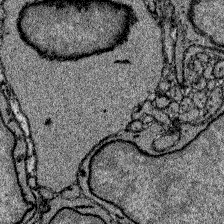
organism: Zebrafish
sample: Larval olfactory bulb